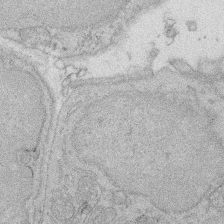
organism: Rat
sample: Salivary granule